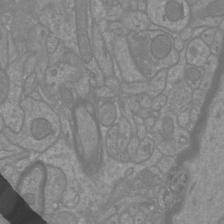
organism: Mouse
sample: Cortical neurons